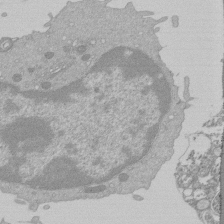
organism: Mouse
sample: Activated Pmel transgenic CD8+ T Cells